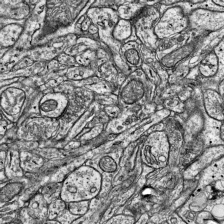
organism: Mouse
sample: Visual Cortex